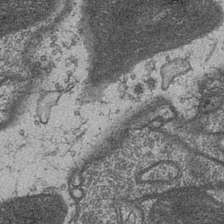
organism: Drosophila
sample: Optic medulla